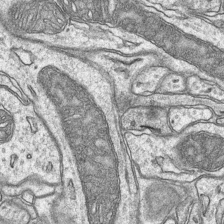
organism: Mouse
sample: CA1 Hippocampus